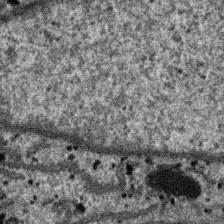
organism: Human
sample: Lung epithelial cells infected with SARS-CoV-2